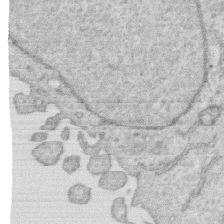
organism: Human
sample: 1205lu cells